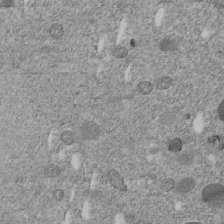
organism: C. elegans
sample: C. elegans embryo early stage